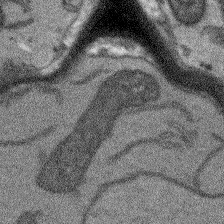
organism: Arabidopsis thaliana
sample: Root tip